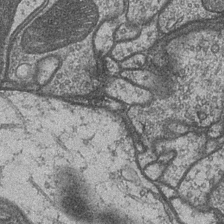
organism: Drosophila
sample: Optic medulla